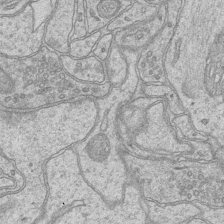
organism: Mouse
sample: CA1 Hippocampus